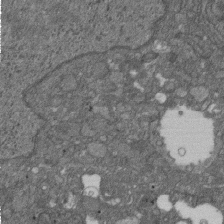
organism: Drosophila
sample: Nephrocyte